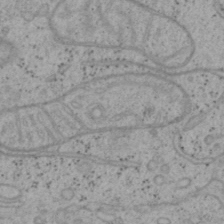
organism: Human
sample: HeLa cells